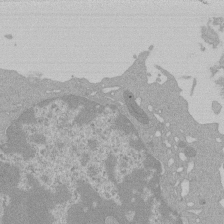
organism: Mouse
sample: Activated Pmel transgenic CD8+ T Cells